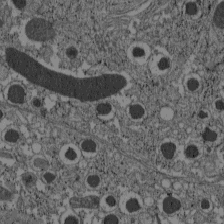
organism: C57BL Mouse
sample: Pancreatic islet